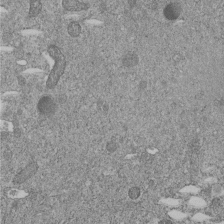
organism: C. elegans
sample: C. elegans embryo early stage